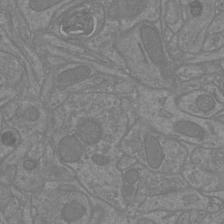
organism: Mouse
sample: Cortical neurons